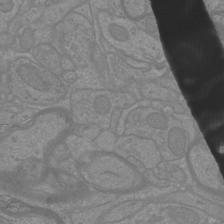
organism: Mouse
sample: Cortical neurons